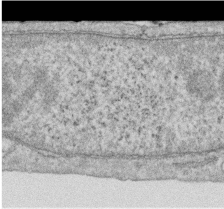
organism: Human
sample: Centriole in RPE cells